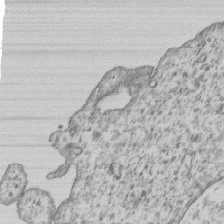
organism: Human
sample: MDA-MB-231 cells